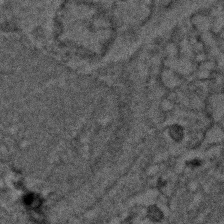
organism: Zebrafish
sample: Zebrafish embryo